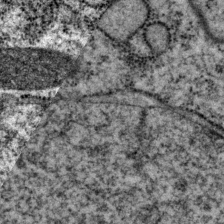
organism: P. pacificus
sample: Pharynx